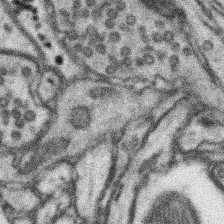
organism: Mouse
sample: Somatosensory cortex neuropil